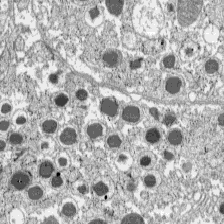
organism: C57BL Mouse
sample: Pancreatic islet